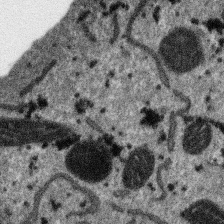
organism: Human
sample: Lung epithelial cells infected with SARS-CoV-2